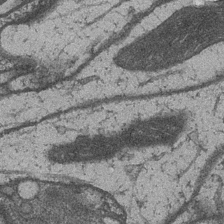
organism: Drosophila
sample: Optic medulla